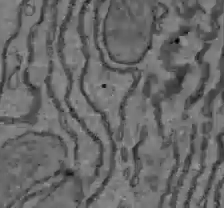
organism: C57BL Mouse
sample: Liver